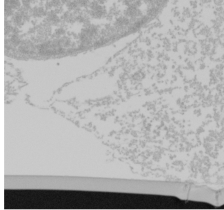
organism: Mouse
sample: Cancer cell death in ED-1 cells